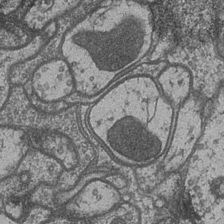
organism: Drosophila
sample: Optic medulla